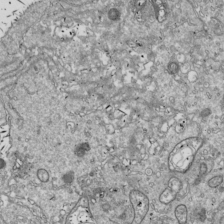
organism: Drosophila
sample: Cell division; meiosis; drosophila spermatocytes